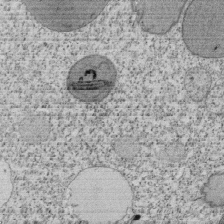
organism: Tetrahymena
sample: Cilia in tetrahymena